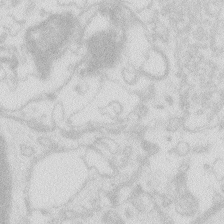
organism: Zebrafish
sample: Macrophage